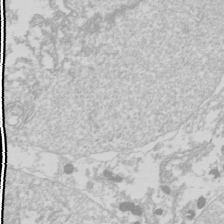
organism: Drosophila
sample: Cell division; meiosis; drosophila spermatocytes